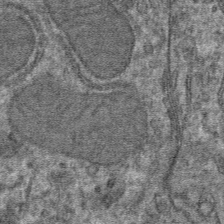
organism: Mouse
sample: Mouse hepatocytes